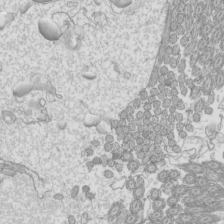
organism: Mouse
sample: Cilia; mouse epididymis